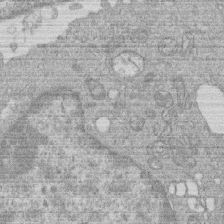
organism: Human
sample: Macrophage cells